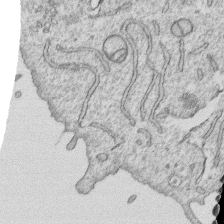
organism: Human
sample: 1205lu cells